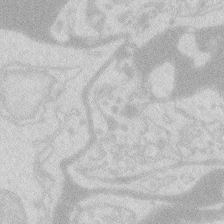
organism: Zebrafish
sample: Macrophage